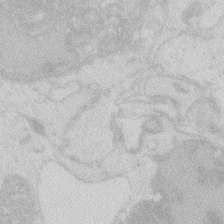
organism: Zebrafish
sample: Macrophage